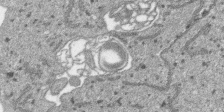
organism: Human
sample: Lung epithelial cells infected with SARS-CoV-2